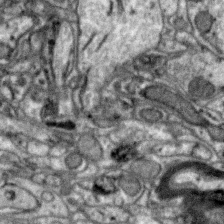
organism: Zebra finch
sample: Brain